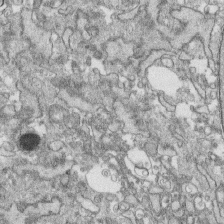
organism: Human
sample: CRL-1474